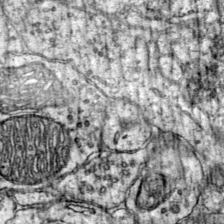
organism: Mouse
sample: Primary visual cortex